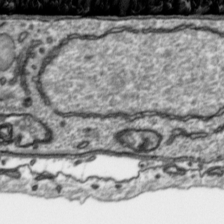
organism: Toxoplasma gondii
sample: Parasites in a vacuole inside a host cell